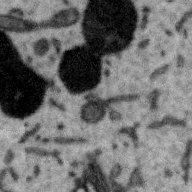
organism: Zebra finch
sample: Brain